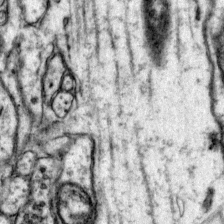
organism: Mouse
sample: Primary visual cortex